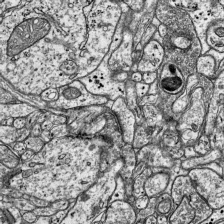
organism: Mouse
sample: Visual Cortex